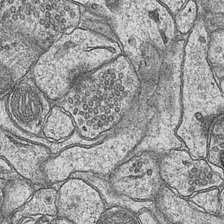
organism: Mouse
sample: CA1 Hippocampus